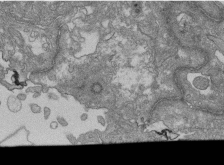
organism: Human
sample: Retinal organoid Rod and Cone cells